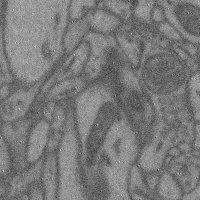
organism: Mouse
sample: Cerebral cortex